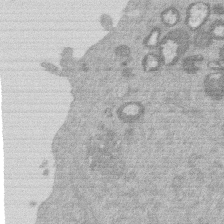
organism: Mouse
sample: Dividing mouse embryo 1 cell stage